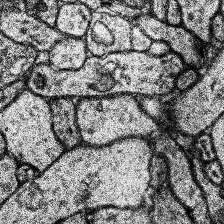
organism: Human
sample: Temporal Lobe